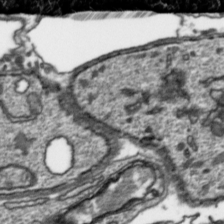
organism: Toxoplasma gondii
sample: Parasites in a vacuole inside a host cell